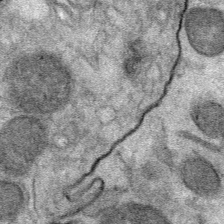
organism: Mouse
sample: Mouse Salivary gland